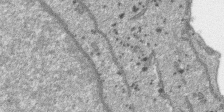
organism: Human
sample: Lung epithelial cells infected with SARS-CoV-2